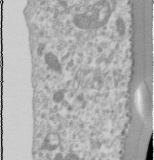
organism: Human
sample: Cilia; basal body in RPE cells